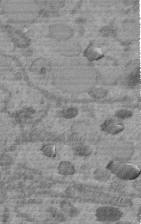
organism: C. elegans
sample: C. elegans embryo early stage